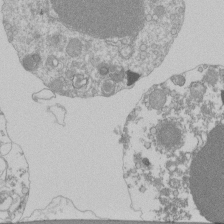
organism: Mouse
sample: Activated Pmel transgenic CD8+ T Cells